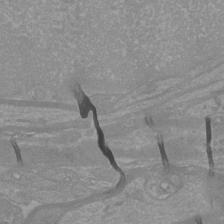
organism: Mouse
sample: Cortical neurons